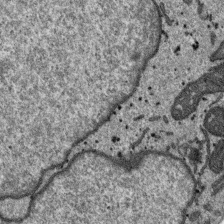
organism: Human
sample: Lung epithelial cells, uninfected (mock) control